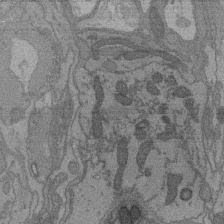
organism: C. elegans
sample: AFD neurons C. elegans